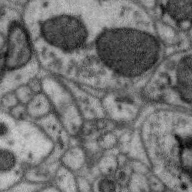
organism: Zebra finch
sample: Brain